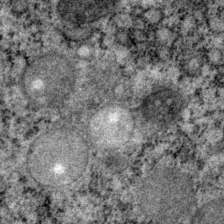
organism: P. pacificus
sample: Pharynx